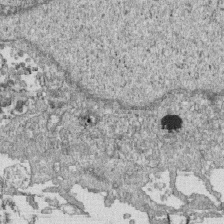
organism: Human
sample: HeLa cell HIV synapse